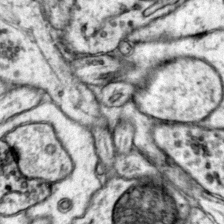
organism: Mouse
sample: Primary visual cortex